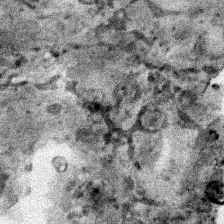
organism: Human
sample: Mitochondria in HCT116 cells